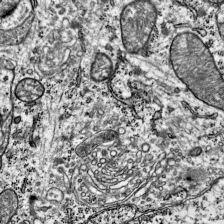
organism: Mouse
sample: Visual Cortex